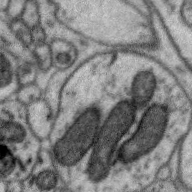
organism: Zebra finch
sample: Brain